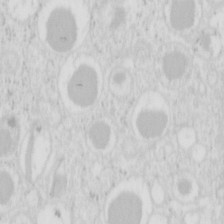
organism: Mouse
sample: Pancreas